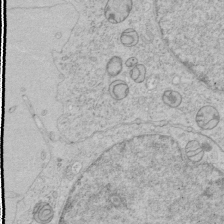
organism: Human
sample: Mitochondria in HCT116 cells